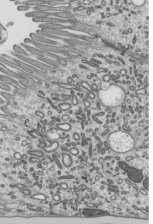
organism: Mouse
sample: Mouse epididymis efferent ductule cilia